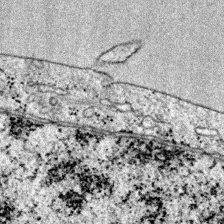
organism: Human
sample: HeLa cells